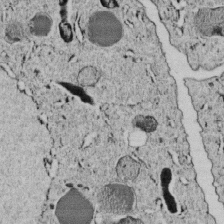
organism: C. elegans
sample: C. elegans embryo early stage